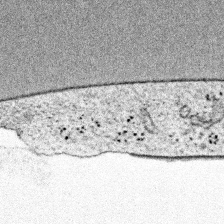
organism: Human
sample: HeLa cells